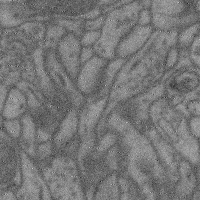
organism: Mouse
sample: Cerebral cortex